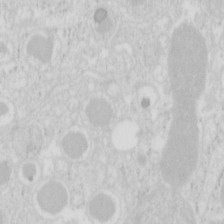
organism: Mouse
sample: Pancreas